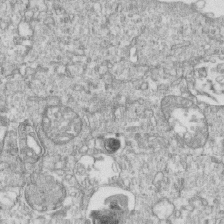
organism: Mouse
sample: Activated OT-1 CD8+ T cells